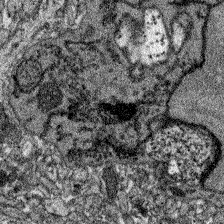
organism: Zebrafish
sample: Larval olfactory bulb